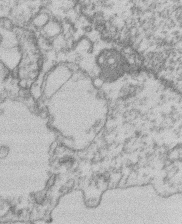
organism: Mouse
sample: T cell stromal cell synapse